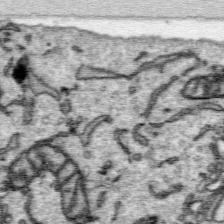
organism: Human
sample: HeLa cells